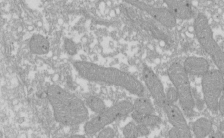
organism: Xenopus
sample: Cilia; centrioles in frog embryo cells